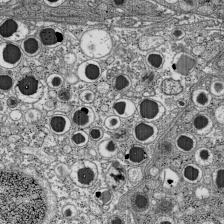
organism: C57BL Mouse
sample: Pancreatic islet